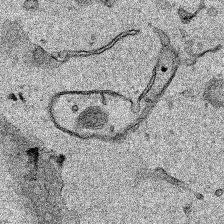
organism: Human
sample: Mitochondria in HCT116 cells